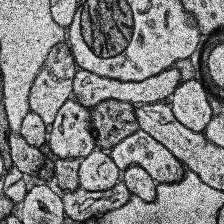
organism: Human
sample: Temporal Lobe